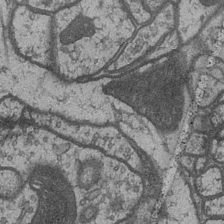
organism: Drosophila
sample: Optic medulla